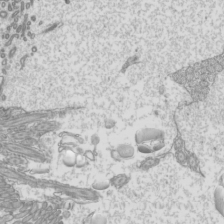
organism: Mouse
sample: Cilia; mouse epididymis